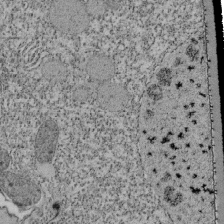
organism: Tetrahymena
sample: Cilia in tetrahymena